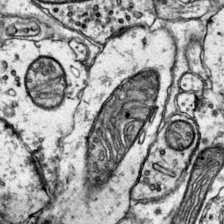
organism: Mouse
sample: Primary visual cortex